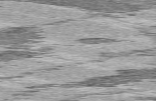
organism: C57BL Mouse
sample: Heart